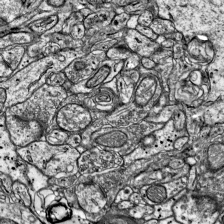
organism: Mouse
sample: Visual Cortex